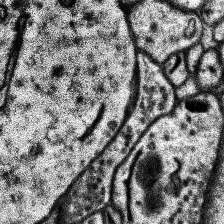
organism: Human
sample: Temporal Lobe